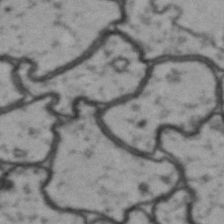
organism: Drosophila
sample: Brain